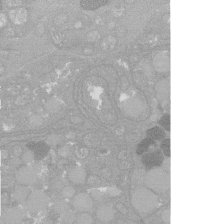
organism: C. elegans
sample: C. elegans oocyte; sperm cells